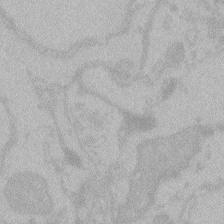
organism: Zebrafish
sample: Macrophage infected with Toxoplasma gondii